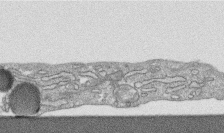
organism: Human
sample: CRL-1474